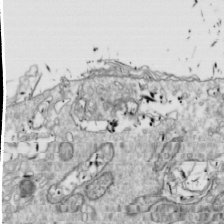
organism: Drosophila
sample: Cell division; meiosis; drosophila spermatocytes